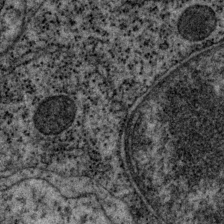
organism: P. pacificus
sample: Pharynx